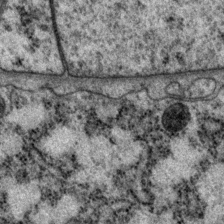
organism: P. pacificus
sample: Pharynx